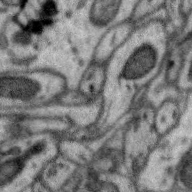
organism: Zebra finch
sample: Brain